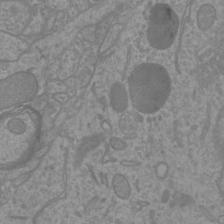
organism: Mouse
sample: Cortical neurons